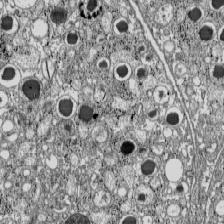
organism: C57BL Mouse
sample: Pancreatic islet